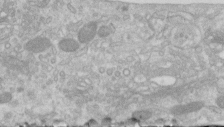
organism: Human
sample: Centriole in RPE cells